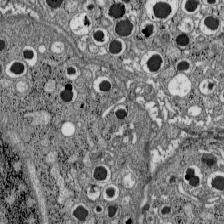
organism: C57BL Mouse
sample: Pancreatic islet